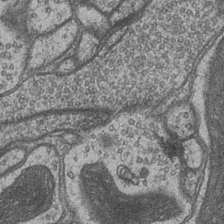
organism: Drosophila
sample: Optic medulla